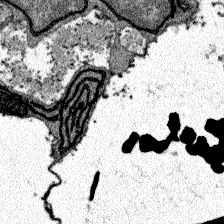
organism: Zebrafish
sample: Larval olfactory bulb